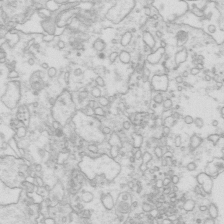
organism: Mouse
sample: Multiciliated cells